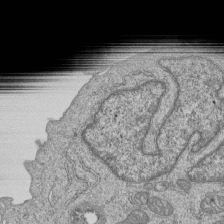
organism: Human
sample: MDA-MB-231 cells